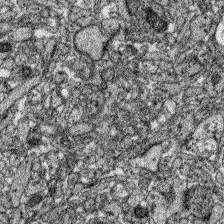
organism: Zebrafish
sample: Larval olfactory bulb